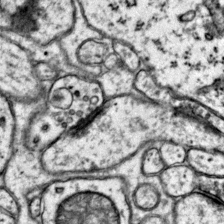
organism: Mouse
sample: Primary visual cortex